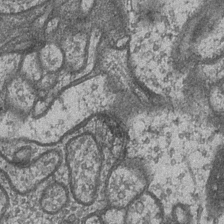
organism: Drosophila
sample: Optic medulla